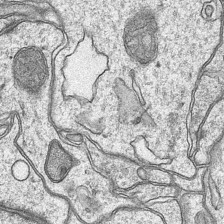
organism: Mouse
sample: CA1 Hippocampus